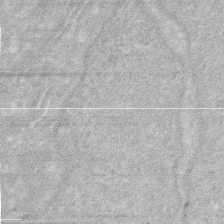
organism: Human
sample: HIV infected U937 cells